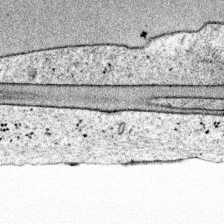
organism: Human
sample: HeLa cells